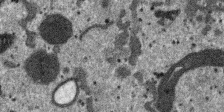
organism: Human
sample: Lung epithelial cells infected with SARS-CoV-2